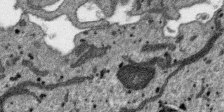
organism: Human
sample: Lung epithelial cells, uninfected (mock) control